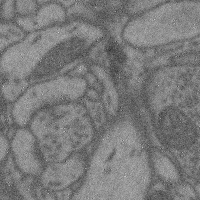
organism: Mouse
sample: Cerebral cortex